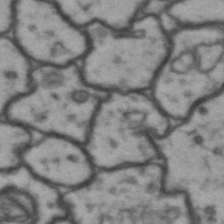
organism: Drosophila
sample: Brain